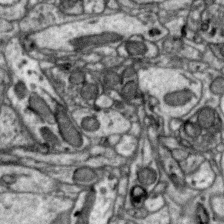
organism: Zebra finch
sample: Brain